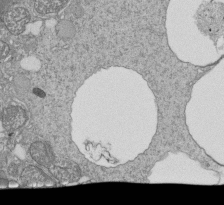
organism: Tetrahymena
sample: Cilia in tetrahymena